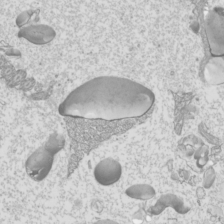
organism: Mouse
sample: Cilia; mouse epididymis